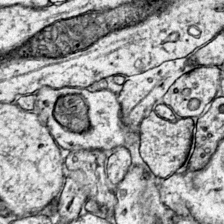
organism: Mouse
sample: Primary visual cortex